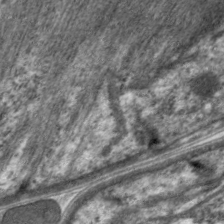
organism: C. elegans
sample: Pharynx